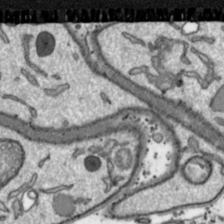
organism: Toxoplasma gondii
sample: Parasites in a vacuole inside a host cell